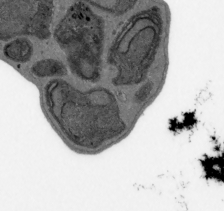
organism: Plasmodium falciparum